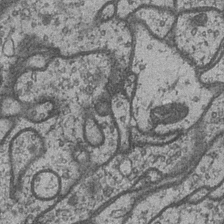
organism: Drosophila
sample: Optic medulla